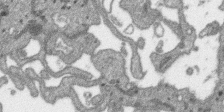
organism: Human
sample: Lung epithelial cells infected with SARS-CoV-2